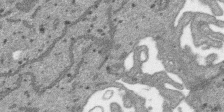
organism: Human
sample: Lung epithelial cells infected with SARS-CoV-2